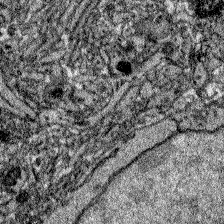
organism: Zebrafish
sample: Larval olfactory bulb